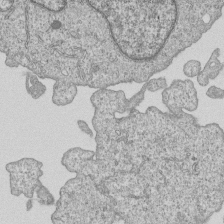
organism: Human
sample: MDA-MB-231 cells